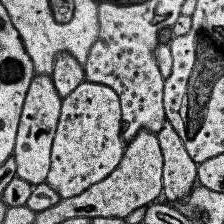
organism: Human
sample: Temporal Lobe